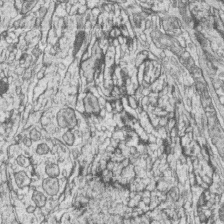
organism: Zebrafish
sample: synaptic ribbons in rod cells and cone cells